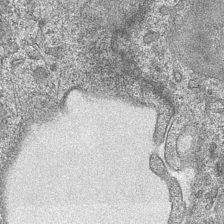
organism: Mouse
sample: CA1 Hippocampus